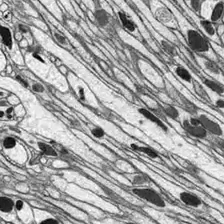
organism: Drosophila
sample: Optic lobe